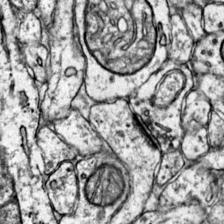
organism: Mouse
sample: Primary visual cortex